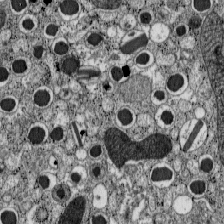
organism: C57BL Mouse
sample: Pancreatic islet